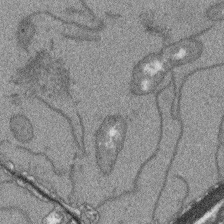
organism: Arabidopsis thaliana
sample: Root tip